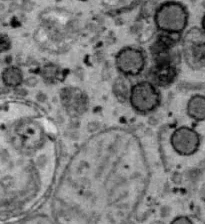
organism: Mouse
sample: Liver from an obese (ob/ob) mouse